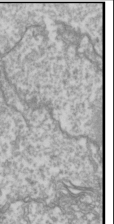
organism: Drosophila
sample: Cell division; meiosis; drosophila spermatocytes